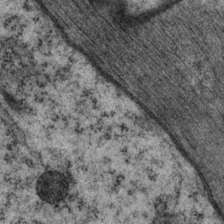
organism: P. pacificus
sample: Pharynx